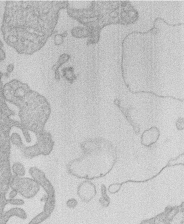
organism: Human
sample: Macrophage cells